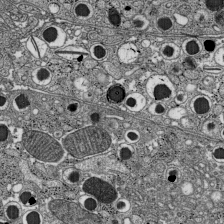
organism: C57BL Mouse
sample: Pancreatic islet